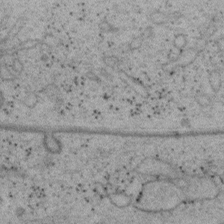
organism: Human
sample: HeLa cells